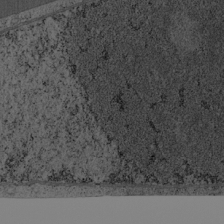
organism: African green monkey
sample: COS-7 cells